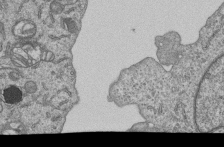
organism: Human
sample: MDA-MB-231 cells